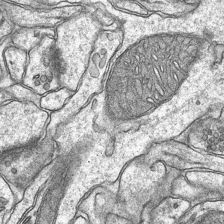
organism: Mouse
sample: CA1 Hippocampus